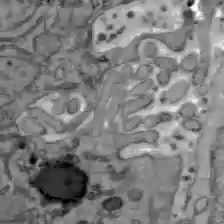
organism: C57BL Mouse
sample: Liver